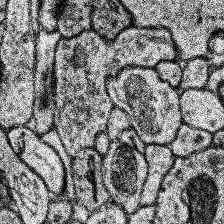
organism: Human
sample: Temporal Lobe